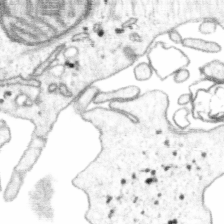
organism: Human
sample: HeLa cells